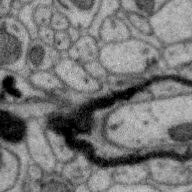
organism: Zebra finch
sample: Brain